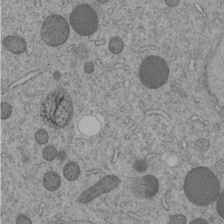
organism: C. elegans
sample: C. elegans embryo early stage